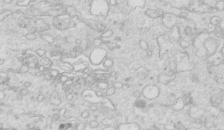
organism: Mouse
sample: Multiciliated cells